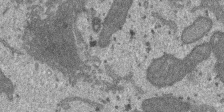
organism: Human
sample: Lung epithelial cells infected with SARS-CoV-2